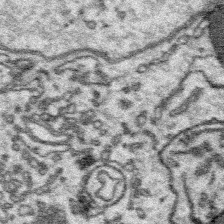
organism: Platynereis dumerilii